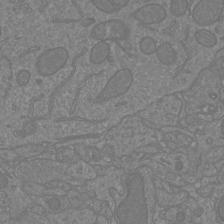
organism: Mouse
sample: Cortical neurons